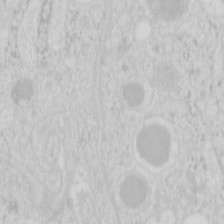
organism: Mouse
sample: Pancreas